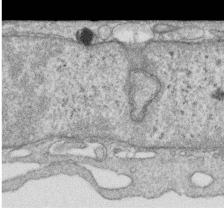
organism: Human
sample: Centriole in RPE cells